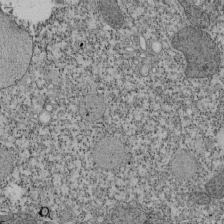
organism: Tetrahymena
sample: Cilia in tetrahymena